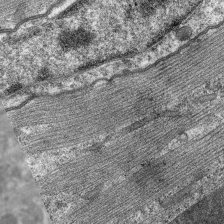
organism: C. elegans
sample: Pharynx